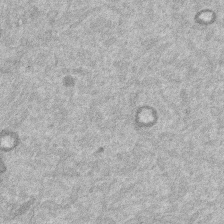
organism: Mouse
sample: Dividing mouse embryo 1 cell stage